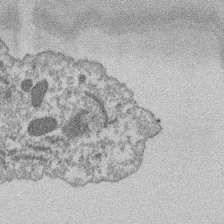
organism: Dictyostelium discoideum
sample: Dictyostelium multivesicular bodies